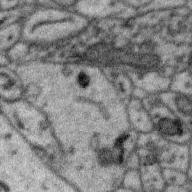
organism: Zebra finch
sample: Brain